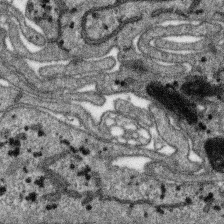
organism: Human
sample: Lung epithelial cells infected with SARS-CoV-2